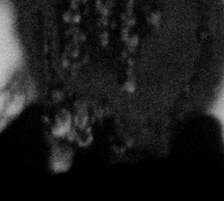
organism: Gemmata obscuriglobus